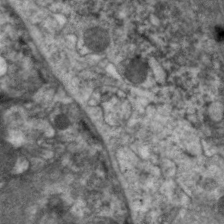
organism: C. elegans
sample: Pharynx